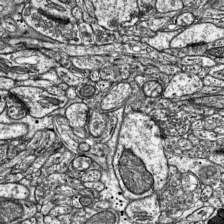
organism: Mouse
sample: Visual Cortex